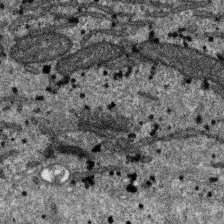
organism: Human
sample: Lung epithelial cells infected with SARS-CoV-2